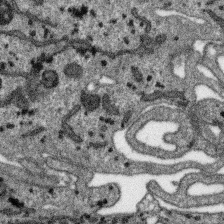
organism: Human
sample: Lung epithelial cells infected with SARS-CoV-2